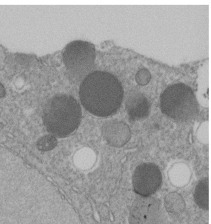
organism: C. elegans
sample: C. elegans embryo early stage